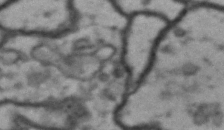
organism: Drosophila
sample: Brain